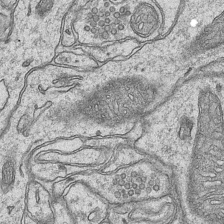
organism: Mouse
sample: CA1 Hippocampus